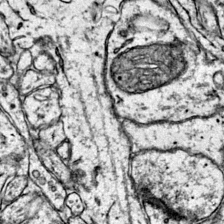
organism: Mouse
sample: Primary visual cortex